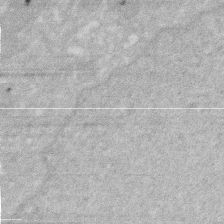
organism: Human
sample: HIV infected U937 cells